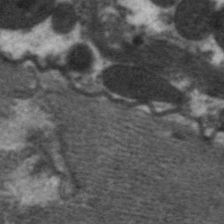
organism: C. elegans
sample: Pharynx